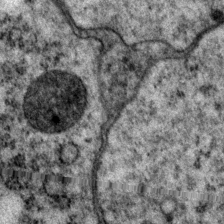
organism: P. pacificus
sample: Pharynx